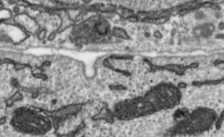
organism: Toxoplasma gondii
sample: Parasites in a vacuole inside a host cell